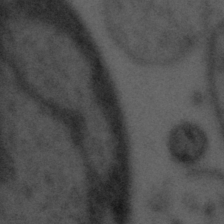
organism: Tuwongella immobilis